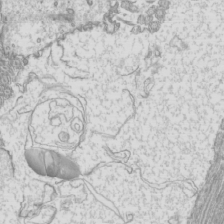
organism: Mouse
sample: Cilia; mouse epididymis